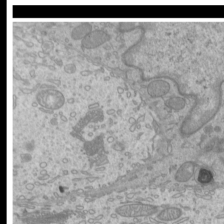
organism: Mouse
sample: Cilia; mouse epididymis